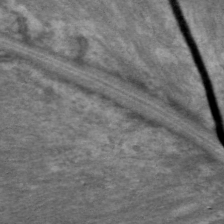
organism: C. elegans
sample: Pharynx